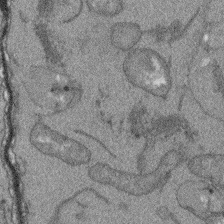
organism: Arabidopsis thaliana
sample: Root tip